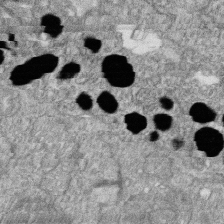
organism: Zebrafish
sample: Cilia; retinal pigment epithelium